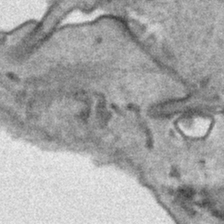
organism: Human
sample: Mitochondria in HCT116 cells